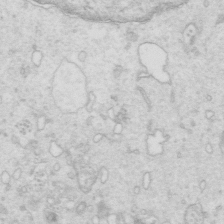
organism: Mouse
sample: Multiciliated cells